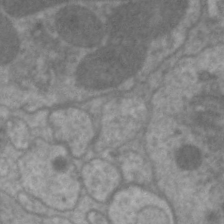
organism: C. elegans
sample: Pharynx